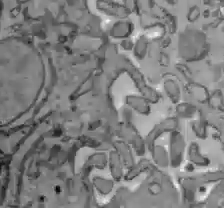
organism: C57BL Mouse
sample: Liver